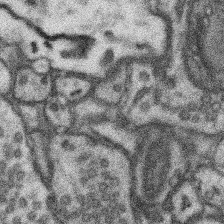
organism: Mouse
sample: Somatosensory cortex neuropil